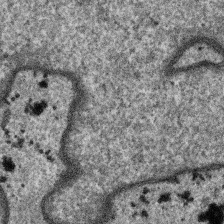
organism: Human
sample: Lung epithelial cells infected with SARS-CoV-2